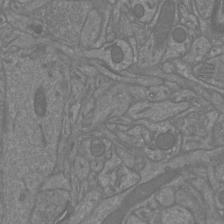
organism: Mouse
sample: Cortical neurons